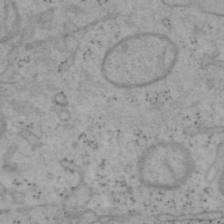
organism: Human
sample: HeLa cells